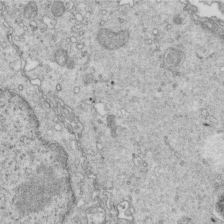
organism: Mouse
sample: Multiciliated cells